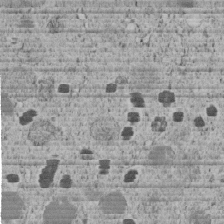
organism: C. elegans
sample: C. elegans embryo early stage